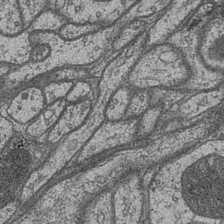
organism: Drosophila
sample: Optic medulla